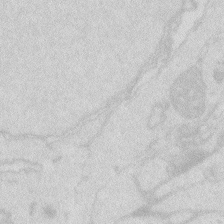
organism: Zebrafish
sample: Macrophage